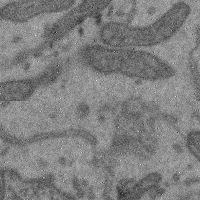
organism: Mouse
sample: Cerebral cortex